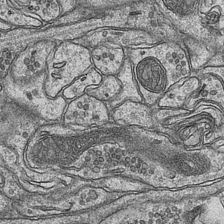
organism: Mouse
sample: CA1 Hippocampus